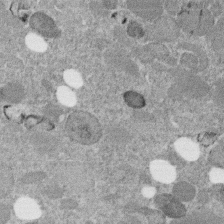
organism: C. elegans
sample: C. elegans embryo early stage